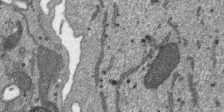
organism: Human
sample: Lung epithelial cells infected with SARS-CoV-2